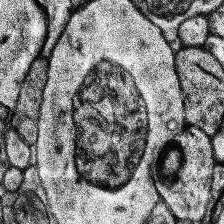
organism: Human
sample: Temporal Lobe